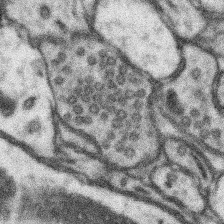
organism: Mouse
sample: Somatosensory cortex neuropil